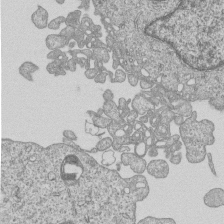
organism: Human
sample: MDA-MB-231 cells